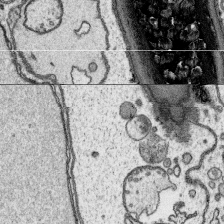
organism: Platynereis dumerilii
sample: Parapodia